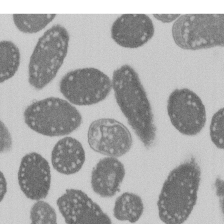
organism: E. coli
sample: Bacterial nucleoid